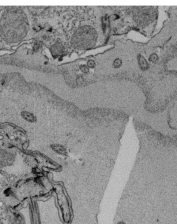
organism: Tetrahymena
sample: Cilia in tetrahymena